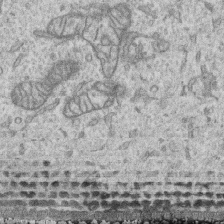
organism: Human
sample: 1205lu cells